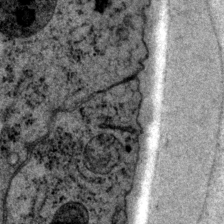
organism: P. pacificus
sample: Pharynx